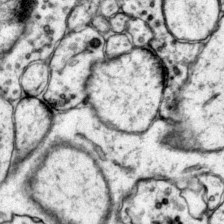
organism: Mouse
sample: Primary visual cortex